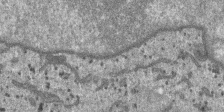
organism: Human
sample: Lung epithelial cells infected with SARS-CoV-2